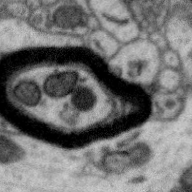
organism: Zebra finch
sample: Brain